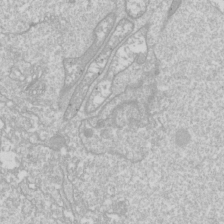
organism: Drosophila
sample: Cell division; meiosis; drosophila spermatocytes